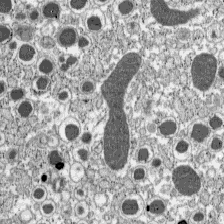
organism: C57BL Mouse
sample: Pancreatic islet